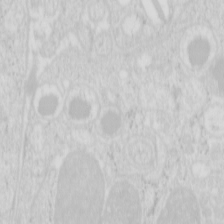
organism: Mouse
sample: Pancreas